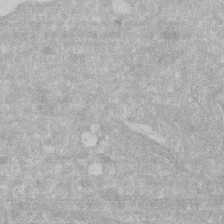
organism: Human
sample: HIV infected U937 cells